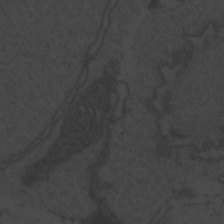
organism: Zebrafish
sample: Macrophage infected with Toxoplasma gondii